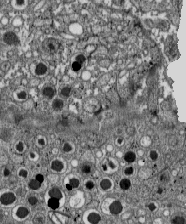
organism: C57BL Mouse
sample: Pancreatic islet